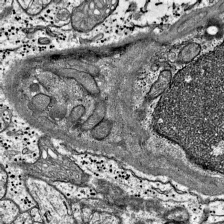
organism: Mouse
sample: Visual Cortex